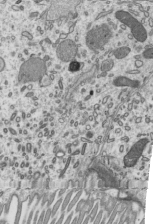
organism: Mouse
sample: Mouse epididymis efferent ductule cilia